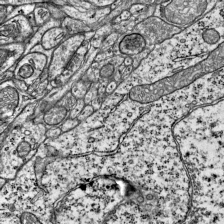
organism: Mouse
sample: Visual Cortex